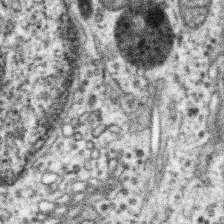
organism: Human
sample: HeLa cells